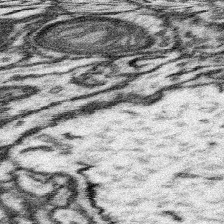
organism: Mouse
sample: Somatosensory cortex neuropil